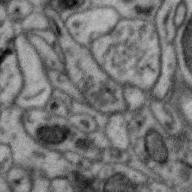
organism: Zebra finch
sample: Brain